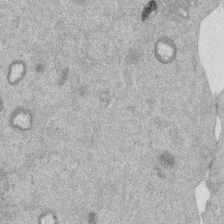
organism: Mouse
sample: Dividing mouse embryo 1 cell stage